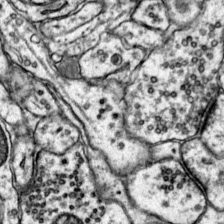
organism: Mouse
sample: Primary visual cortex